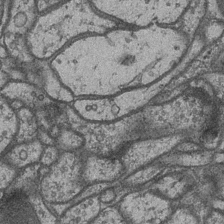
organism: Drosophila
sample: Optic medulla